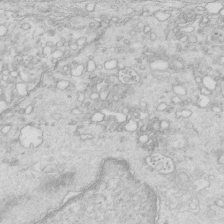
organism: Mouse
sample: Multiciliated cells